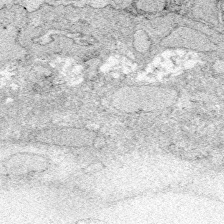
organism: Zebrafish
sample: Whole-Brain